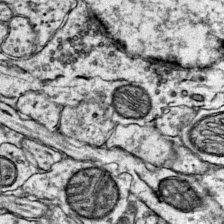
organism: Mouse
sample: Primary visual cortex